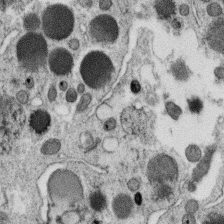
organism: C. elegans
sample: C. elegans oocyte; sperm cells